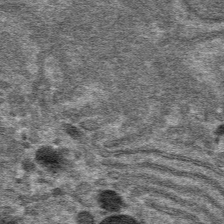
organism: Mouse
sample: Mouse hepatocytes